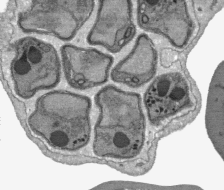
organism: Plasmodium falciparum